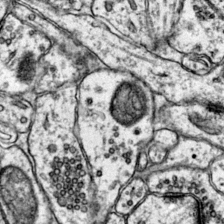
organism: Mouse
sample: Primary visual cortex